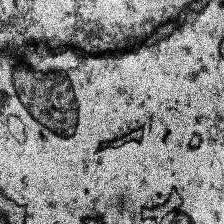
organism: Human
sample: Temporal Lobe